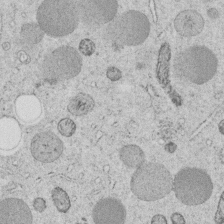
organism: C. elegans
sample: C. elegans embryo early stage